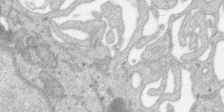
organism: Human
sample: Lung epithelial cells infected with SARS-CoV-2